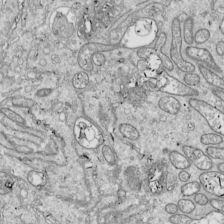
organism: Drosophila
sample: Cell division; meiosis; drosophila spermatocytes